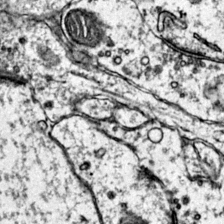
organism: Mouse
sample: Primary visual cortex